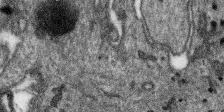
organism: Human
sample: Lung epithelial cells infected with SARS-CoV-2